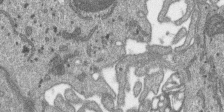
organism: Human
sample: Lung epithelial cells infected with SARS-CoV-2